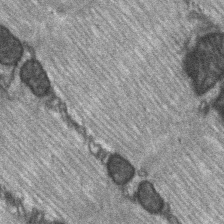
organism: C57BL Mouse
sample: Soleus